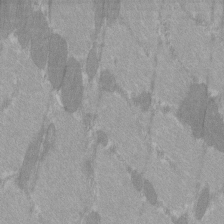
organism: C57BL Mouse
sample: Tibialis anterior muscle cell